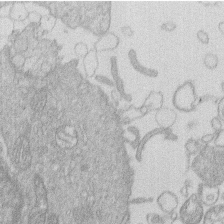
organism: Human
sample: Macrophage cells